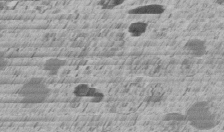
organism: C. elegans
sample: C. elegans embryo early stage